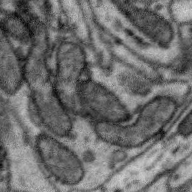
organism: Zebra finch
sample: Brain